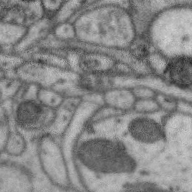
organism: Zebra finch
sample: Brain